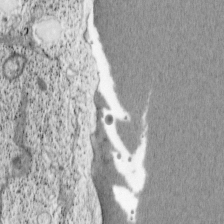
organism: African green monkey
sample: COS-7 cells